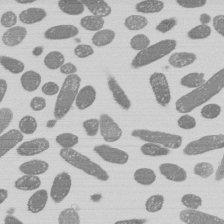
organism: E. coli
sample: Bacterial nucleoid